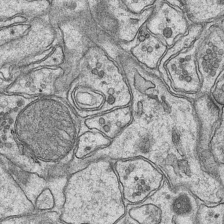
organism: Mouse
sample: CA1 Hippocampus